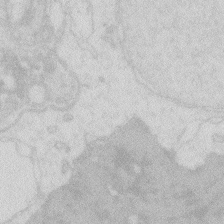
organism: Zebrafish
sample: Macrophage